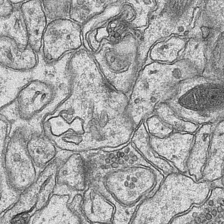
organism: Mouse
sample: CA1 Hippocampus